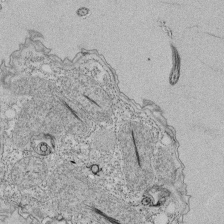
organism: Tetrahymena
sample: Cilia in tetrahymena